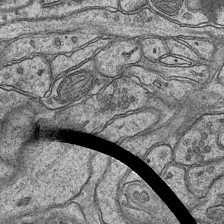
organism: Mouse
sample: CA1 Hippocampus